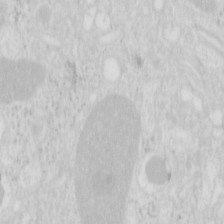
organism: Mouse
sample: Pancreas